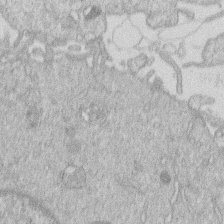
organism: Human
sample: Macrophage cells